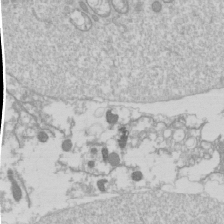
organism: Drosophila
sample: Cell division; meiosis; drosophila spermatocytes